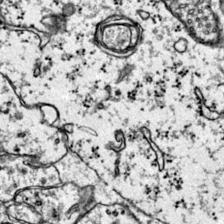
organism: Mouse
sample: Primary visual cortex